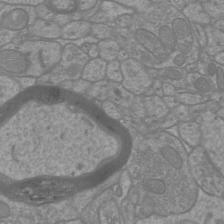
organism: Mouse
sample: Cortical neurons